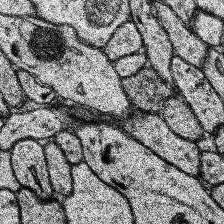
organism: Human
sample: Temporal Lobe